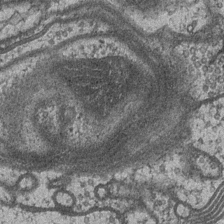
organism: Drosophila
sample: Optic medulla